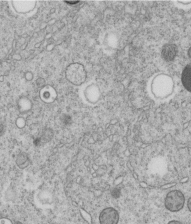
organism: C. elegans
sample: C. elegans embryo early stage